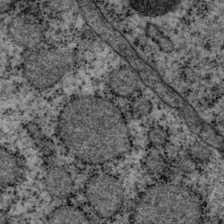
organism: P. pacificus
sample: Pharynx